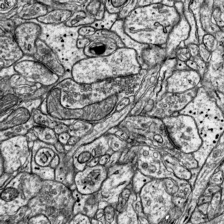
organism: Mouse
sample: Visual Cortex